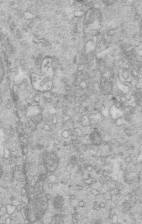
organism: Mouse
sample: Multiciliated cells